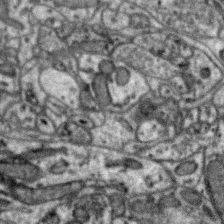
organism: Zebra finch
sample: Brain